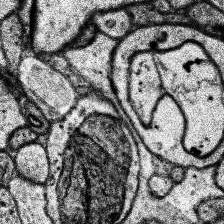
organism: Human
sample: Temporal Lobe